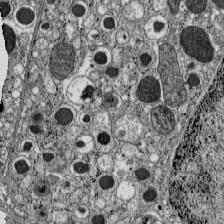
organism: C57BL Mouse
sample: Pancreatic islet